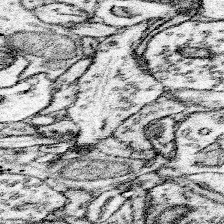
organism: Mouse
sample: Somatosensory cortex neuropil